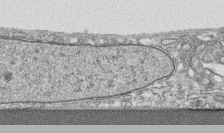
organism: Human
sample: CRL-1474